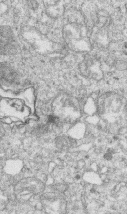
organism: Human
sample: HeLa cell HIV synapse